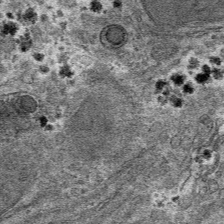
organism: Mouse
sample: Mouse hepatocytes